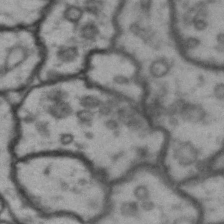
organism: Drosophila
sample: Brain